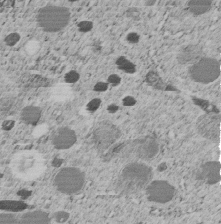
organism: C. elegans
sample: C. elegans embryo early stage